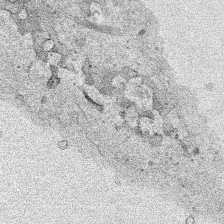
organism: Human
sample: Mitochondria in HCT116 cells